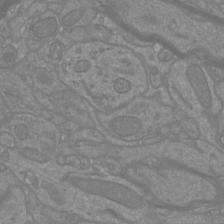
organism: Mouse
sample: Cortical neurons